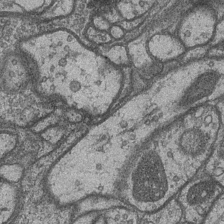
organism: Drosophila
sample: Optic medulla